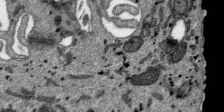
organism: Human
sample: Lung epithelial cells, uninfected (mock) control